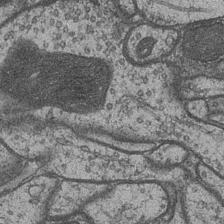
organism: Drosophila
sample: Optic medulla